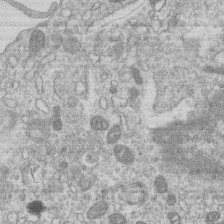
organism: Human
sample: Macrophage cells